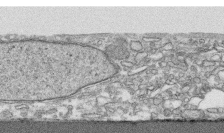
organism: Human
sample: CRL-1474